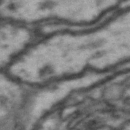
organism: Drosophila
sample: Brain